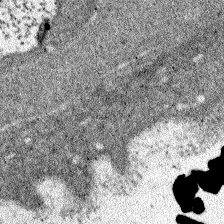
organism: Zebrafish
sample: Larval olfactory bulb